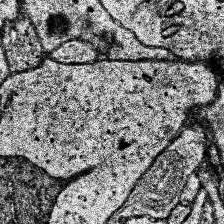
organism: Human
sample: Temporal Lobe